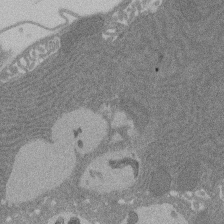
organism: Rat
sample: Salivary granule